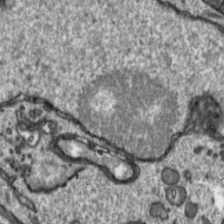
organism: Toxoplasma gondii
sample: Parasites in a vacuole inside a host cell